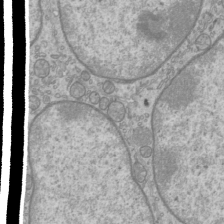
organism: Mouse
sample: Cilia; mouse epididymis